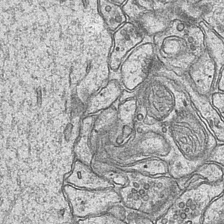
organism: Mouse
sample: CA1 Hippocampus